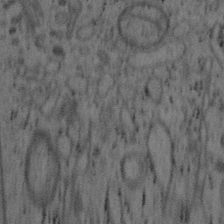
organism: Human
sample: HeLa cells